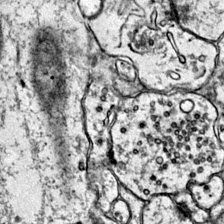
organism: Mouse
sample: Primary visual cortex